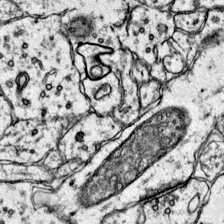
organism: Mouse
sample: Primary visual cortex